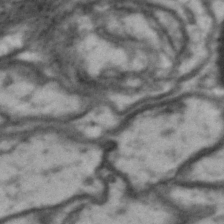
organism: Drosophila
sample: Brain